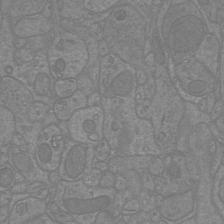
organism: Mouse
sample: Cortical neurons